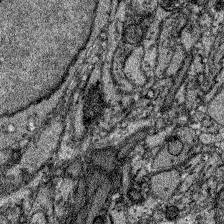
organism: Zebrafish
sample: Larval olfactory bulb